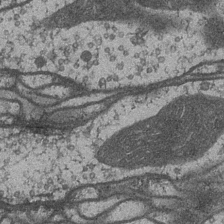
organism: Drosophila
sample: Optic medulla